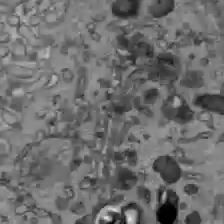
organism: C57BL Mouse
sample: Liver